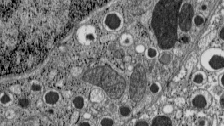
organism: C57BL Mouse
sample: Pancreatic islet